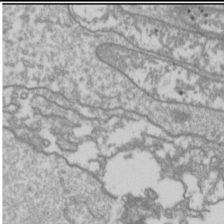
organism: Drosophila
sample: Cell division; meiosis; drosophila spermatocytes